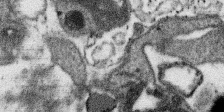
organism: Human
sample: Lung epithelial cells infected with SARS-CoV-2